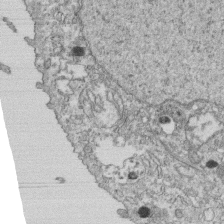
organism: Human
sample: HeLa cell HIV synapse